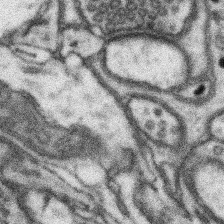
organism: Mouse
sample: Somatosensory cortex neuropil